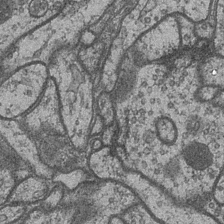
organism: Drosophila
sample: Optic medulla